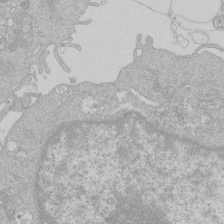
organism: Human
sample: Macrophage cells